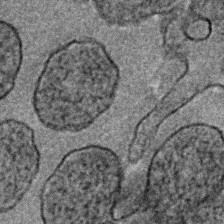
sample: Trachea